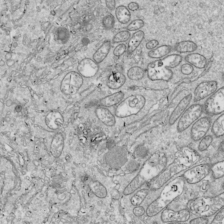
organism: Drosophila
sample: Cell division; meiosis; drosophila spermatocytes